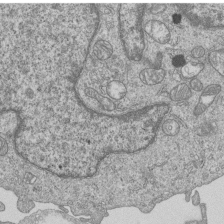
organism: Human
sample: MDA-MB-231 cells